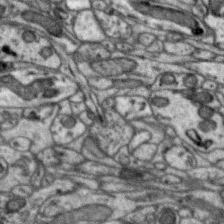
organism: Zebra finch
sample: Brain